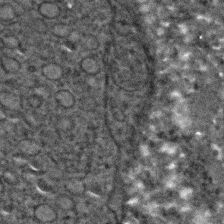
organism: C. elegans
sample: C. elegans embryo